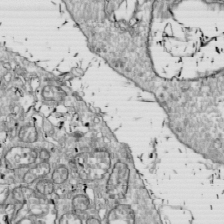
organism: Drosophila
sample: Cell division; meiosis; drosophila spermatocytes